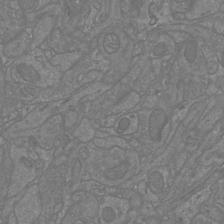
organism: Mouse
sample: Cortical neurons